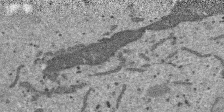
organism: Human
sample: Lung epithelial cells infected with SARS-CoV-2